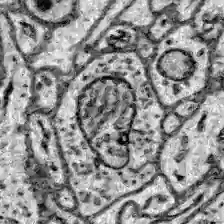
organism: Zebrafish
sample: Brain